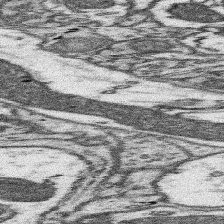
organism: Mouse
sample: Somatosensory cortex neuropil